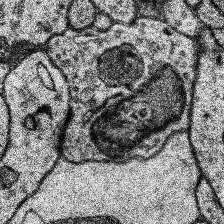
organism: Human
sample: Temporal Lobe